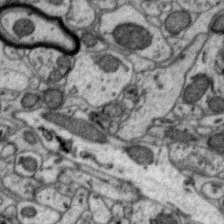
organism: Zebra finch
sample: Brain